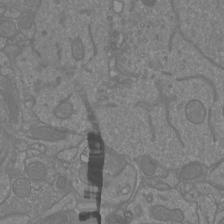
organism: Mouse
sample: Cortical neurons